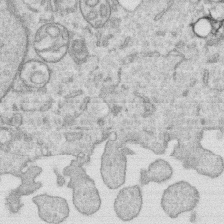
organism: Human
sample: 1205lu cells